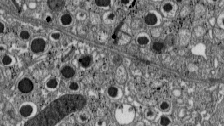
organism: C57BL Mouse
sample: Pancreatic islet